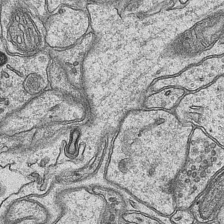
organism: Mouse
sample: CA1 Hippocampus